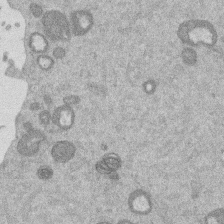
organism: Mouse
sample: Dividing mouse embryo 1 cell stage